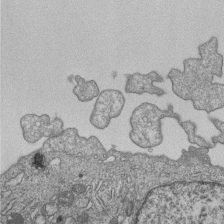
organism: Human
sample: MDA-MB-231 cells